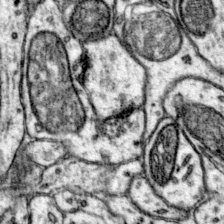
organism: Mouse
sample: Primary visual cortex